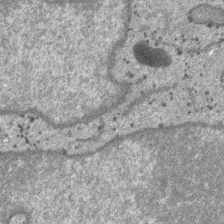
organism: Human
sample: Lung epithelial cells infected with SARS-CoV-2